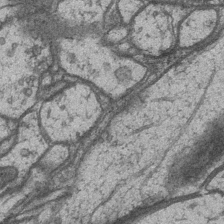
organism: Drosophila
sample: Optic medulla